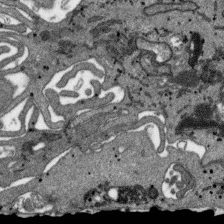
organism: Human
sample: Lung epithelial cells, uninfected (mock) control